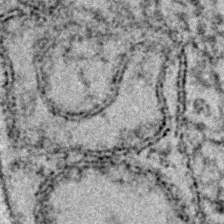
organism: E. coli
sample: E. Coli Bacteria